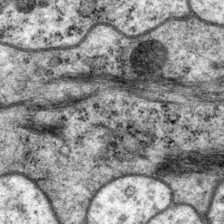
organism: P. pacificus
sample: Pharynx